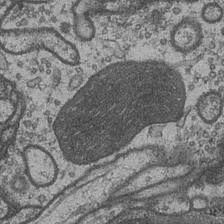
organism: Drosophila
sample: Optic medulla